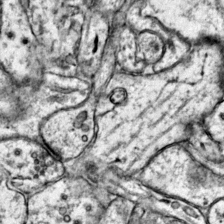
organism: Mouse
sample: Primary visual cortex